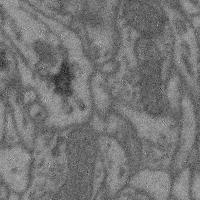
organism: Mouse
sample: Cerebral cortex